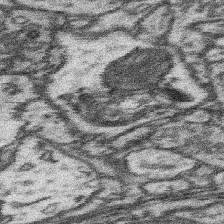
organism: Mouse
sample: Somatosensory cortex neuropil